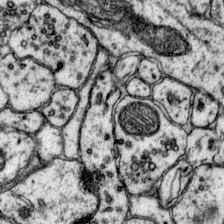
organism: Mouse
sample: Primary visual cortex